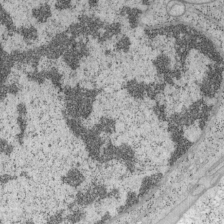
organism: Mouse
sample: OT-I killer T cells with ID8 ovarian cancer cells